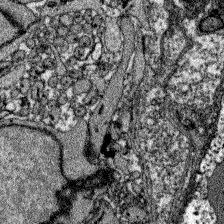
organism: Zebrafish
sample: Larval olfactory bulb